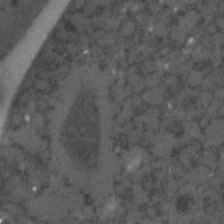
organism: C. elegans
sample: C. elegans embryo